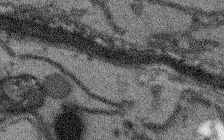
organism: Arabidopsis thaliana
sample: Root tip